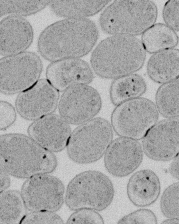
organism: E. coli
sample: Bacterial nucleoid